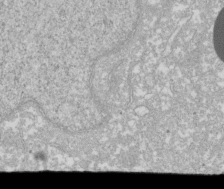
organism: Xenopus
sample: Cilia; centrioles in frog embryo cells